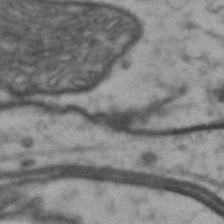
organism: Drosophila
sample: Brain